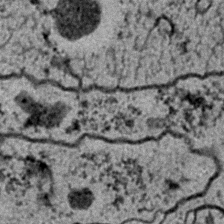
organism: C. elegans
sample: C. elegans embryo